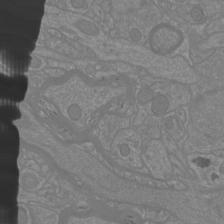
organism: Mouse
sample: Cortical neurons